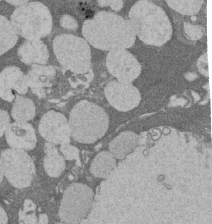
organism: Rat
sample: Salivary granule